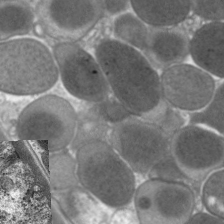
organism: C. elegans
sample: Pharynx